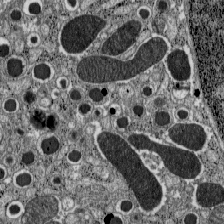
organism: C57BL Mouse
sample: Pancreatic islet